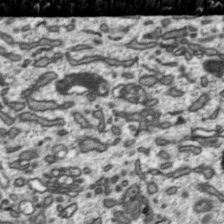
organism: Toxoplasma gondii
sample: Parasites in a vacuole inside a host cell